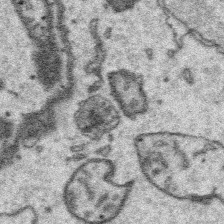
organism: Platynereis dumerilii